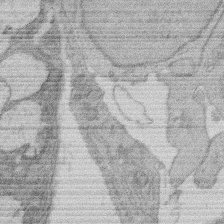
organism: Rat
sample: Salivary granule